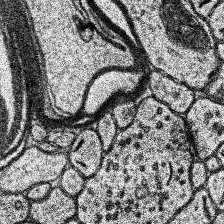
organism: Human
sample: Temporal Lobe